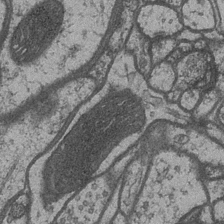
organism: Drosophila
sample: Optic medulla